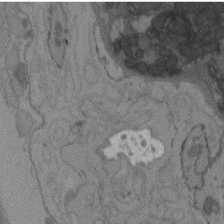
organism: C. elegans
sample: AFD neurons C. elegans